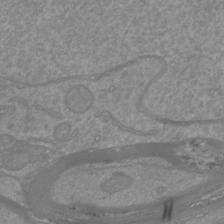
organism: Mouse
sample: Cortical neurons